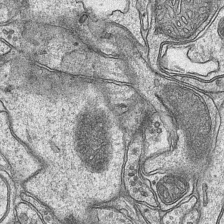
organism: Mouse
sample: CA1 Hippocampus